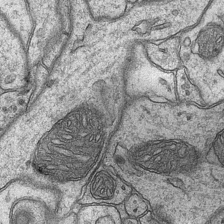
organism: Mouse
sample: CA1 Hippocampus